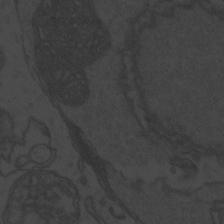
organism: Zebrafish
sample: Macrophage infected with Toxoplasma gondii